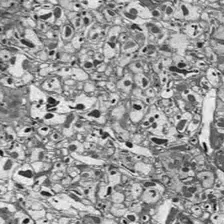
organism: Drosophila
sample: Optic lobe